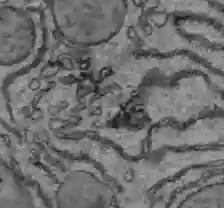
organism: C57BL Mouse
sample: Liver